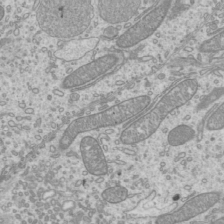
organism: Mouse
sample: Cilia; mouse epididymis